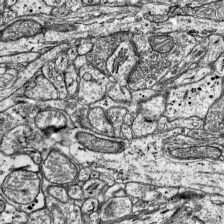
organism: Mouse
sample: Visual Cortex